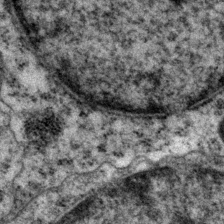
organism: P. pacificus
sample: Pharynx